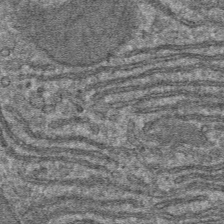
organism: Mouse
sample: Mouse hepatocytes